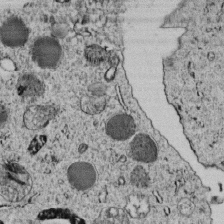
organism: C. elegans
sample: C. elegans embryo early stage